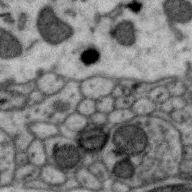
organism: Zebra finch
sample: Brain